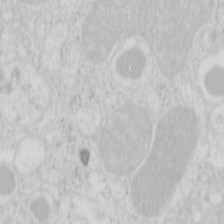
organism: Mouse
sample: Pancreas